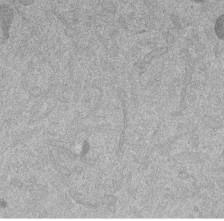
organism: Mouse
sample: Dividing mouse embryo 1 cell stage